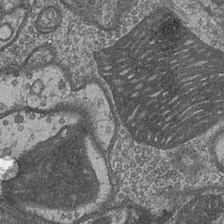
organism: Drosophila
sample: Optic medulla